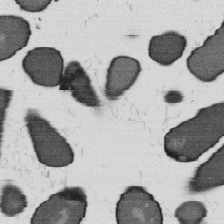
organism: B. subtilis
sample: Bacterial spore